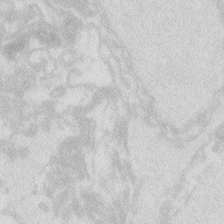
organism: Zebrafish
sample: Macrophage